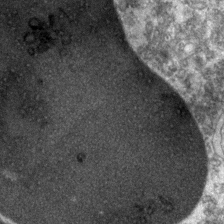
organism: Zebrafish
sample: Zebrafish embryo